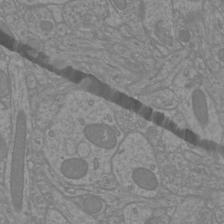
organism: Mouse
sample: Cortical neurons